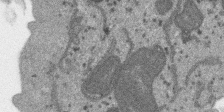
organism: Human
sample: Lung epithelial cells infected with SARS-CoV-2